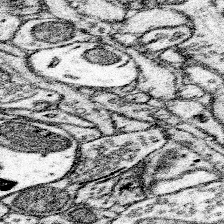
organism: Mouse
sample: Somatosensory cortex neuropil